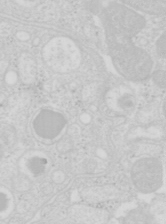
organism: Mouse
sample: Pancreas